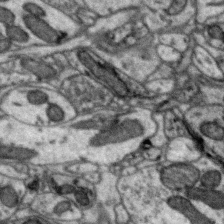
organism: Zebra finch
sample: Brain